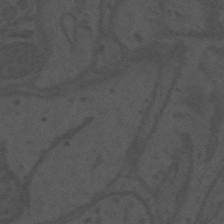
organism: Mouse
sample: Suprachiasmatic nucleus